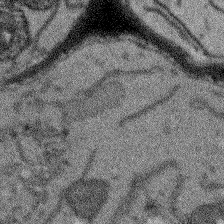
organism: Arabidopsis thaliana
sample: Root tip